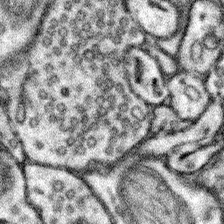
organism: Mouse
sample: Somatosensory cortex neuropil